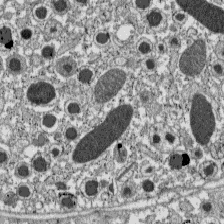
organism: C57BL Mouse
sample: Pancreatic islet